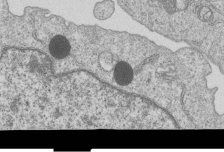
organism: Human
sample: MDA-MB-231 cells